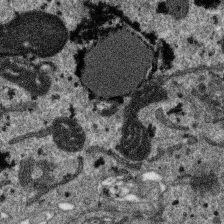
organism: Human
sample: Lung epithelial cells infected with SARS-CoV-2